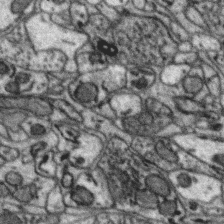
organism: Zebra finch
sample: Brain